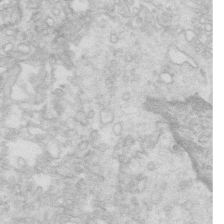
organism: Mouse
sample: Multiciliated cells